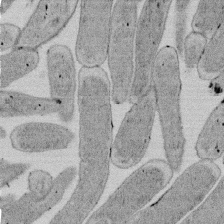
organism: E. coli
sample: Bacterial nucleoid